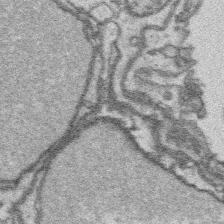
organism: Platynereis dumerilii